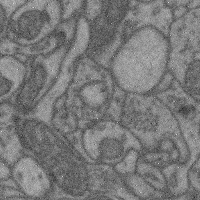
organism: Mouse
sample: Cerebral cortex